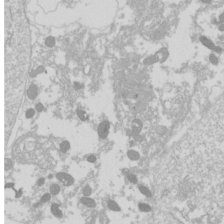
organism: Drosophila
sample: Cell division; meiosis; drosophila spermatocytes